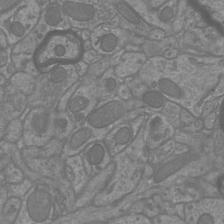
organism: Mouse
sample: Cortical neurons